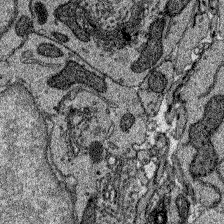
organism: Zebrafish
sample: Larval olfactory bulb